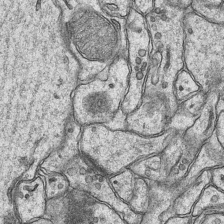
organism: Mouse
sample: CA1 Hippocampus